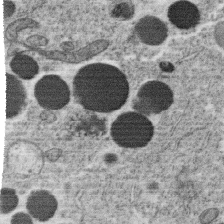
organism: C. elegans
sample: C. elegans oocyte; sperm cells